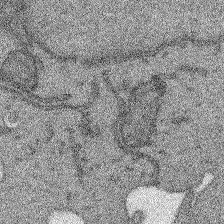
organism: Human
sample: HeLa cells